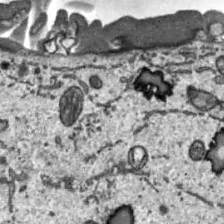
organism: Human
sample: HeLa cells